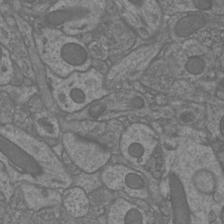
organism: Mouse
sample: Cortical neurons